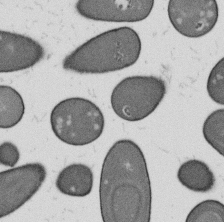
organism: B. subtilis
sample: Bacterial spore